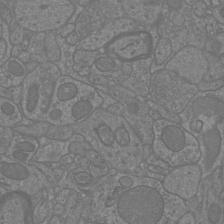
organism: Mouse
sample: Cortical neurons